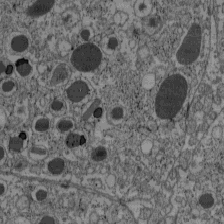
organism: C57BL Mouse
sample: Pancreatic islet